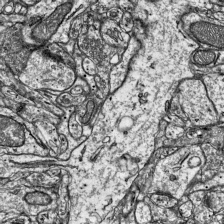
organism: Mouse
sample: Visual Cortex